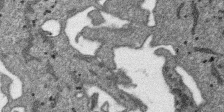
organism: Human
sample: Lung epithelial cells infected with SARS-CoV-2